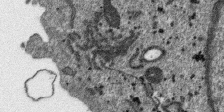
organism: Human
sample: Lung epithelial cells infected with SARS-CoV-2